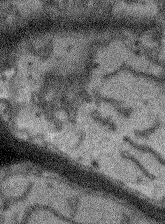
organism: Arabidopsis thaliana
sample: Root tip